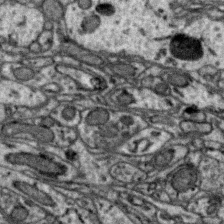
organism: Zebra finch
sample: Brain